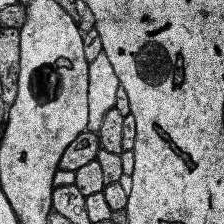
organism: Human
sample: Temporal Lobe